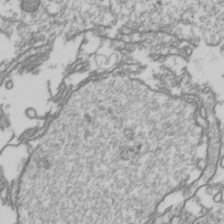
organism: Drosophila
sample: Cell division; meiosis; drosophila spermatocytes